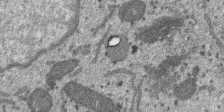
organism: Human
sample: Lung epithelial cells infected with SARS-CoV-2